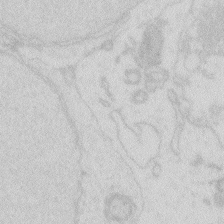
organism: Zebrafish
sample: Macrophage